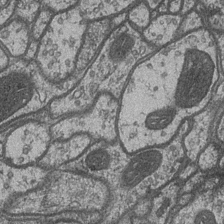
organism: Drosophila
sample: Optic medulla